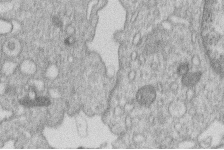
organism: Human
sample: Macrophage cells